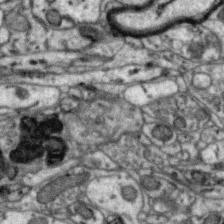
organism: Zebra finch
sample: Brain